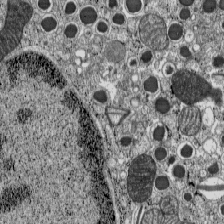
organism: C57BL Mouse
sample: Pancreatic islet